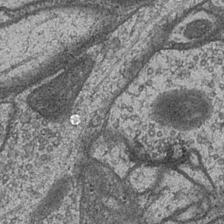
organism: Drosophila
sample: Optic medulla